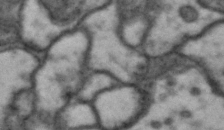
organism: Drosophila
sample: Brain